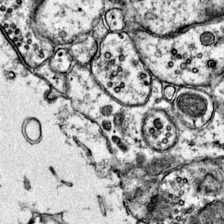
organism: Mouse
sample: Primary visual cortex